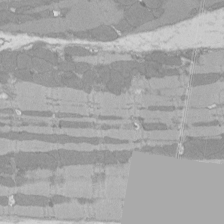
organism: Rat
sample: Left ventricle